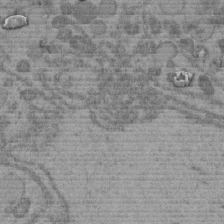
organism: C. elegans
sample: C. elegans embryo early stage